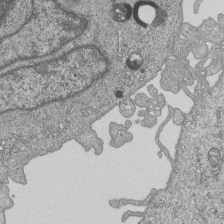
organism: Human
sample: MDA-MB-231 cells